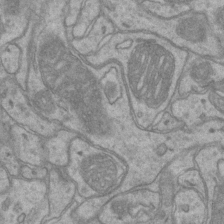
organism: Mouse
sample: CA1 Hippocampus